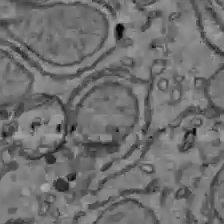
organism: C57BL Mouse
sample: Liver